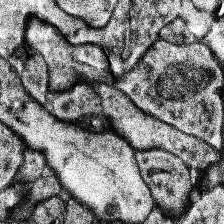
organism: Human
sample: Temporal Lobe